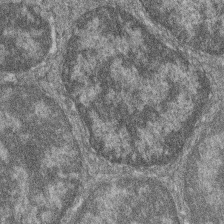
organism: Zebrafish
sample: Cilia; retinal pigment epithelium